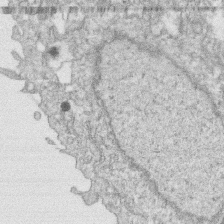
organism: Human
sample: HeLa cell HIV synapse